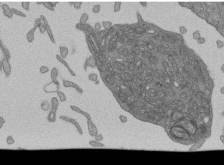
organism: Human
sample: Retinal organoid Rod and Cone cells